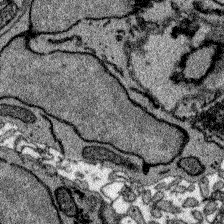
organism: Zebrafish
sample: Larval olfactory bulb